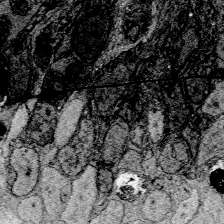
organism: Zebrafish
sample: Whole-Brain